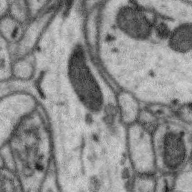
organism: Zebra finch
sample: Brain